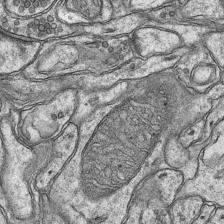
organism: Mouse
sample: CA1 Hippocampus